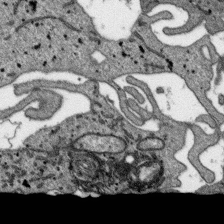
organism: Human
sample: Lung epithelial cells, uninfected (mock) control